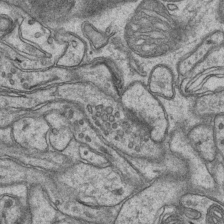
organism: Mouse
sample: CA1 Hippocampus